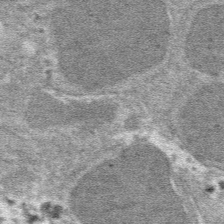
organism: Mouse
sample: Mouse hepatocytes